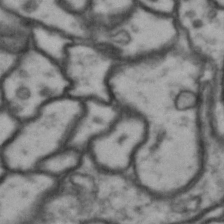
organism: Drosophila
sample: Brain